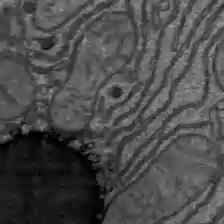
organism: C57BL Mouse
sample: Liver